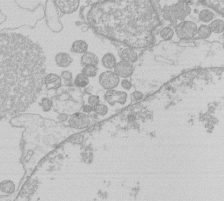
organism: Human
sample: Macrophage cells